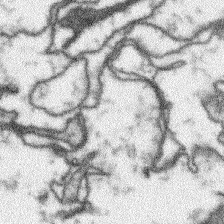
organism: Arabidopsis thaliana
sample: Root tip